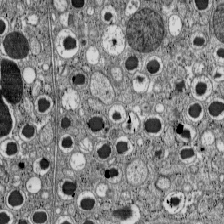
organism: C57BL Mouse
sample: Pancreatic islet